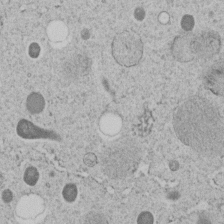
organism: C. elegans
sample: C. elegans embryo early stage